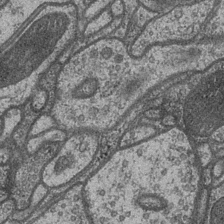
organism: Drosophila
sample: Optic medulla